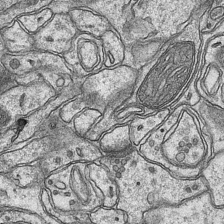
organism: Mouse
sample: CA1 Hippocampus